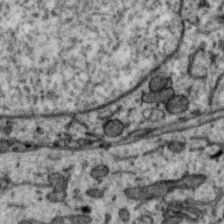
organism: Zebra finch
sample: Brain